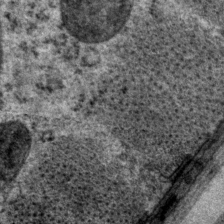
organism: P. pacificus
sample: Pharynx